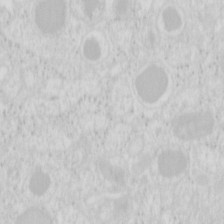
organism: Mouse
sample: Pancreas